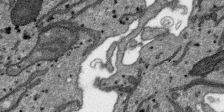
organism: Human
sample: Lung epithelial cells, uninfected (mock) control